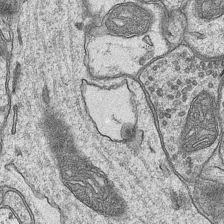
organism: Mouse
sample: CA1 Hippocampus